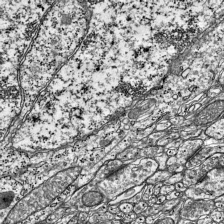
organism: Mouse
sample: Visual Cortex